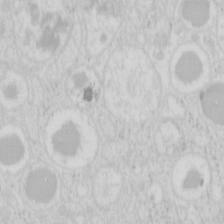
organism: Mouse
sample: Pancreas